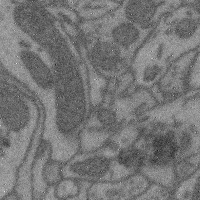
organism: Mouse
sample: Cerebral cortex